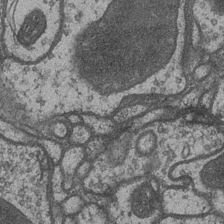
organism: Drosophila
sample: Optic medulla